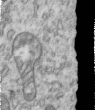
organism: Human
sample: Centriole in RPE cells